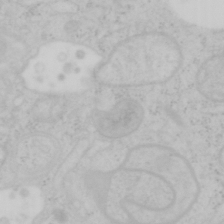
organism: Mouse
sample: OT-I killer T cells with ID8 ovarian cancer cells